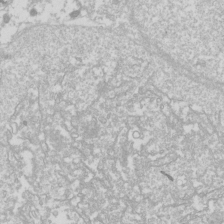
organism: Drosophila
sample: Cell division; meiosis; drosophila spermatocytes